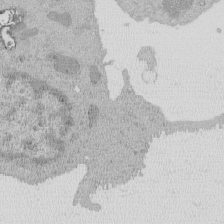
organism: Mouse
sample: Activated Pmel transgenic CD8+ T Cells